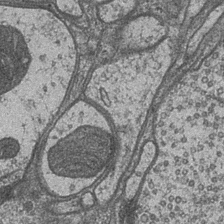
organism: Drosophila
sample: Optic medulla